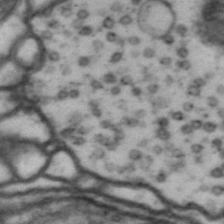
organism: Drosophila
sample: Brain